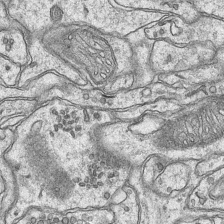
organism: Mouse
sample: CA1 Hippocampus